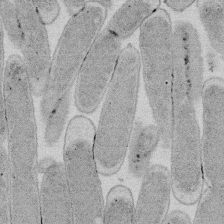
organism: E. coli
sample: Bacterial nucleoid